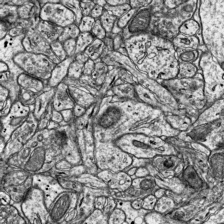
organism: Mouse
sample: Visual Cortex